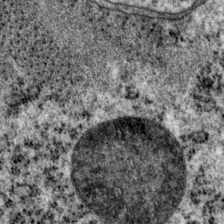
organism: P. pacificus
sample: Pharynx